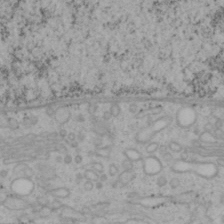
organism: Human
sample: HeLa cells